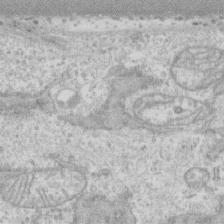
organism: Human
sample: CRL-1474